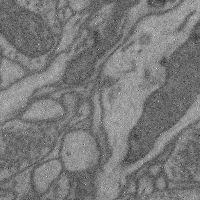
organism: Mouse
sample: Cerebral cortex